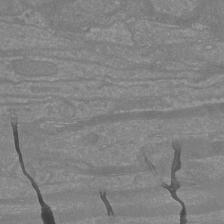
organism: Mouse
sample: Cortical neurons